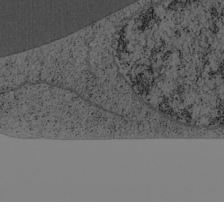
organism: African green monkey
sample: COS-7 cells